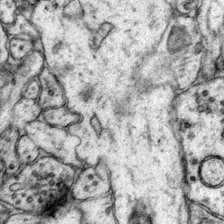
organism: Mouse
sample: Primary visual cortex